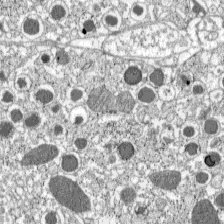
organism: C57BL Mouse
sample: Pancreatic islet